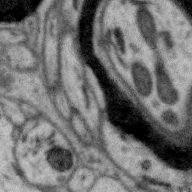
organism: Zebra finch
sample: Brain